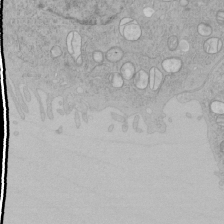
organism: Human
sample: Mitochondria in HCT116 cells